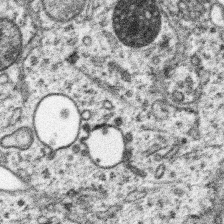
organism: Human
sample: HeLa cells